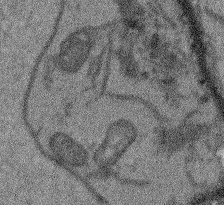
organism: Arabidopsis thaliana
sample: Root tip